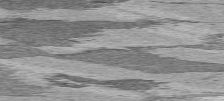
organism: C57BL Mouse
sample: Heart